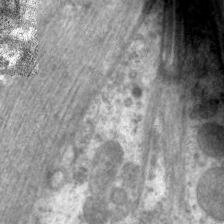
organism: C. elegans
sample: Pharynx